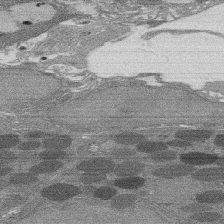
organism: Rat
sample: Salivary granule